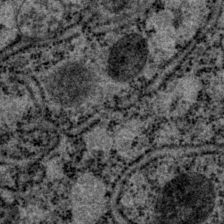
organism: P. pacificus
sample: Pharynx